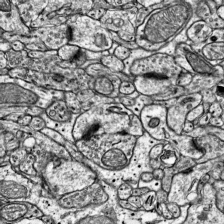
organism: Mouse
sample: Visual Cortex